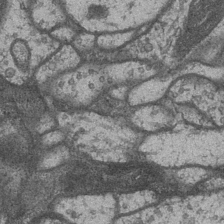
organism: Drosophila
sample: Optic medulla